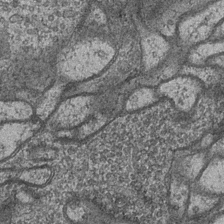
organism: Drosophila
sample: Optic medulla